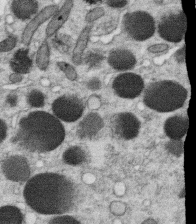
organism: C. elegans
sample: C. elegans oocyte; sperm cells